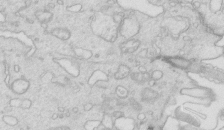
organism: Mouse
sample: Multiciliated cells